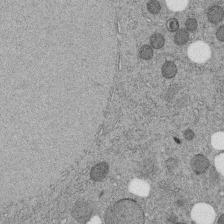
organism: C. elegans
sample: C. elegans embryo early stage